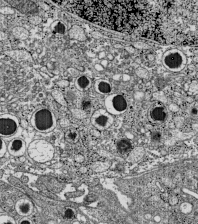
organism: C57BL Mouse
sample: Pancreatic islet